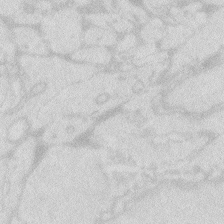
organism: Zebrafish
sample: Macrophage